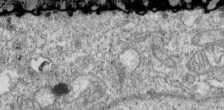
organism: Human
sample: HeLa cell HIV synapse